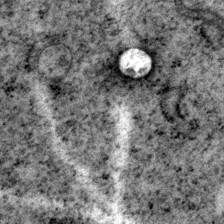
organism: P. pacificus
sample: Pharynx